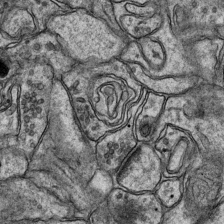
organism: Mouse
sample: CA1 Hippocampus